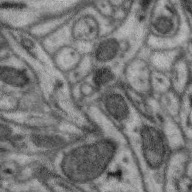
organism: Zebra finch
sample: Brain